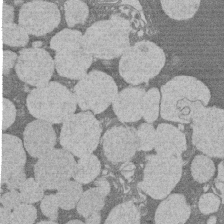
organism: Rat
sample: Salivary granule